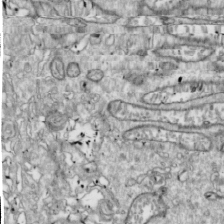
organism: Drosophila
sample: Cell division; meiosis; drosophila spermatocytes